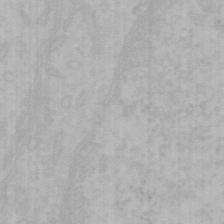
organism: Mouse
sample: Choroid plexus